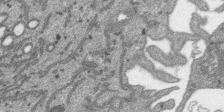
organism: Human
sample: Lung epithelial cells infected with SARS-CoV-2